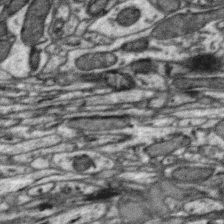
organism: Zebra finch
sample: Brain